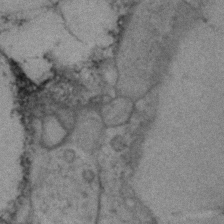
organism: Human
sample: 1205lu cells